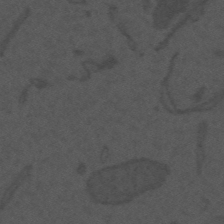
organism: Mouse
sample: Suprachiasmatic nucleus